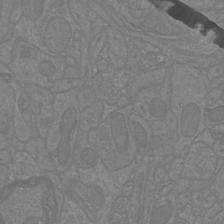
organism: Mouse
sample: Cortical neurons